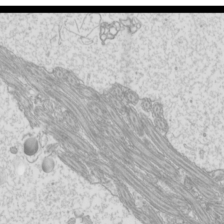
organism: Mouse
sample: Cilia; mouse epididymis